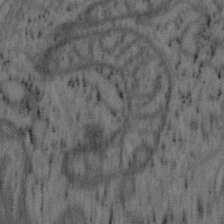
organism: Human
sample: HeLa cells